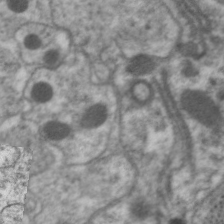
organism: C. elegans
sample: Pharynx